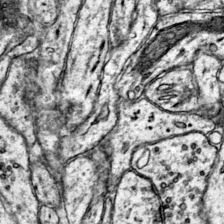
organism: Mouse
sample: Primary visual cortex